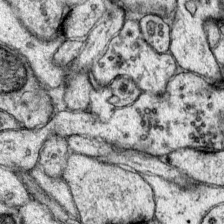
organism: Mouse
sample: Primary visual cortex